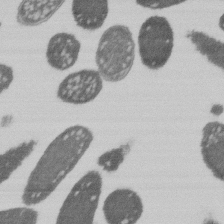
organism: E. coli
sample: Bacterial nucleoid